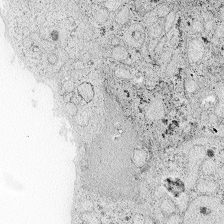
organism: Zebrafish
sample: Whole-Brain